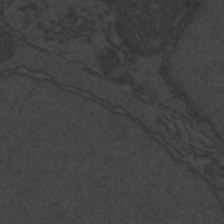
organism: Zebrafish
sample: Macrophage infected with Toxoplasma gondii